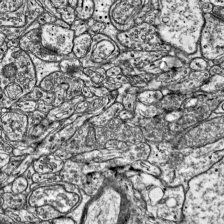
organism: Mouse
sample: Visual Cortex